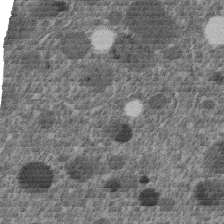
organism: C. elegans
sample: C. elegans embryo early stage